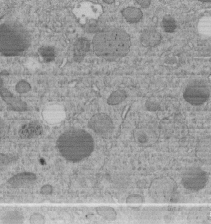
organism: C. elegans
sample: C. elegans embryo early stage